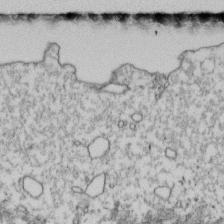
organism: Human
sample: Activated Jurkat CD4+ T cells